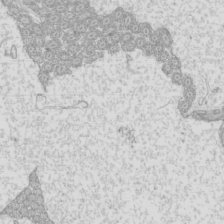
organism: Mouse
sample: Cilia; mouse epididymis